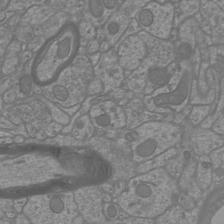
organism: Mouse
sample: Cortical neurons